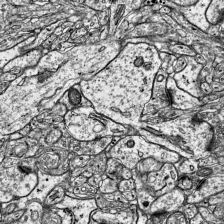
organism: Mouse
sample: Visual Cortex